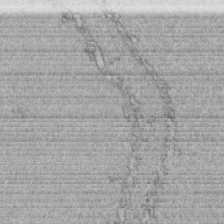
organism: C. elegans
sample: C. elegans embryo early stage